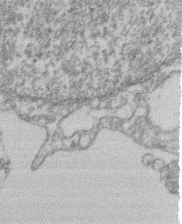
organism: Mouse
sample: T cell stromal cell synapse